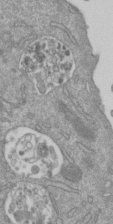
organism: Mouse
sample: ED-1 cell nuclei; centrioles